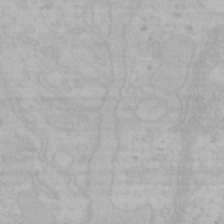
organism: Mouse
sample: Choroid plexus